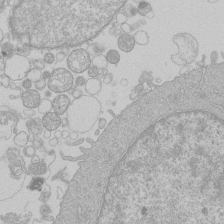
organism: Human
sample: Macrophage cells